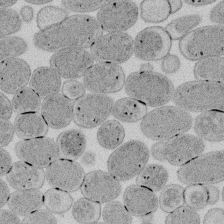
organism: E. coli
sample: Bacterial nucleoid